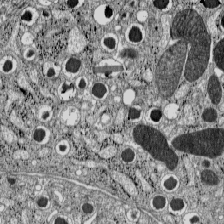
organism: C57BL Mouse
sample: Pancreatic islet